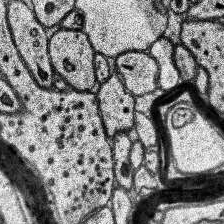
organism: Human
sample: Temporal Lobe